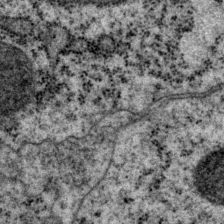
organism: P. pacificus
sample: Pharynx